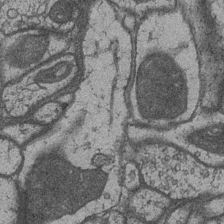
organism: Drosophila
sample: Optic medulla